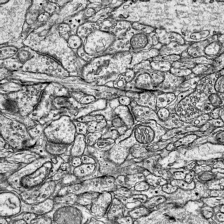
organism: Mouse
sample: Visual Cortex